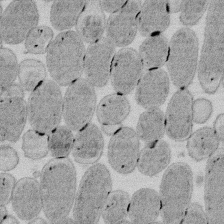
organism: E. coli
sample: Bacterial nucleoid